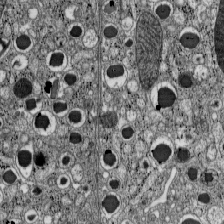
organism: C57BL Mouse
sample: Pancreatic islet